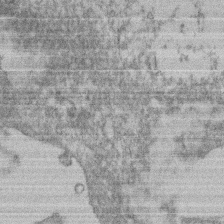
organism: Mouse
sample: T cell stromal cell synapse